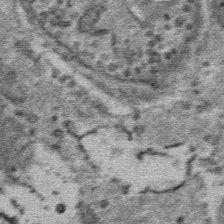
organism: Mouse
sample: Mouse Salivary gland